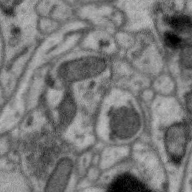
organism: Zebra finch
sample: Brain